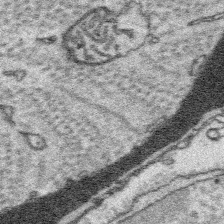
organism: Platynereis dumerilii